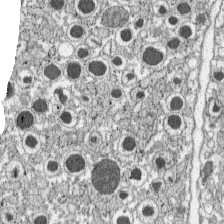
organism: C57BL Mouse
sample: Pancreatic islet